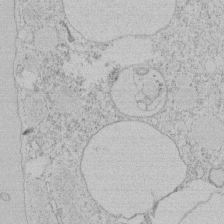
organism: Tetrahymena